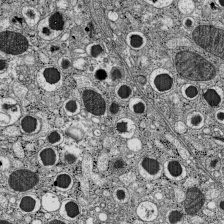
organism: C57BL Mouse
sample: Pancreatic islet